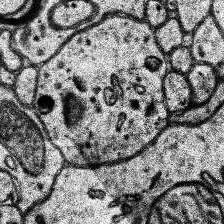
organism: Human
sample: Temporal Lobe